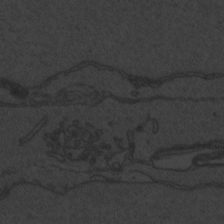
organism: Zebrafish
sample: Macrophage infected with Toxoplasma gondii